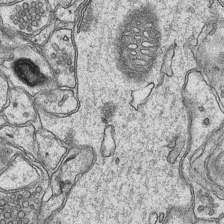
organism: Mouse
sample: CA1 Hippocampus